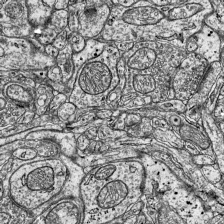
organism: Mouse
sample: Visual Cortex